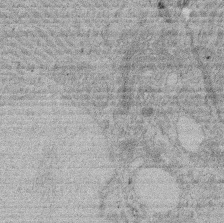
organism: Rat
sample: Salivary granule